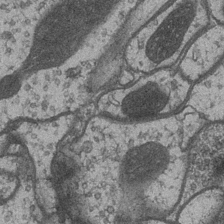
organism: Drosophila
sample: Optic medulla